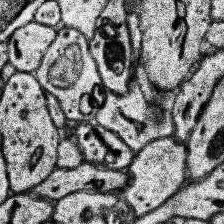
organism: Human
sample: Temporal Lobe